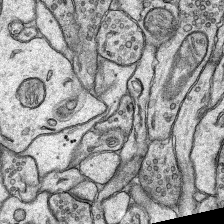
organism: Rat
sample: Hippocampus